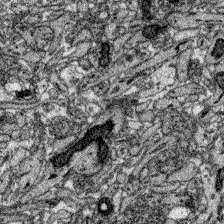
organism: Zebrafish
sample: Larval olfactory bulb